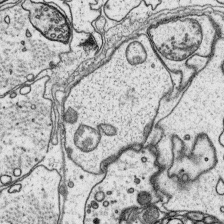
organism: Platynereis dumerilii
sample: Parapodia